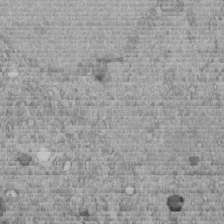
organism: C. elegans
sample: C. elegans embryo early stage